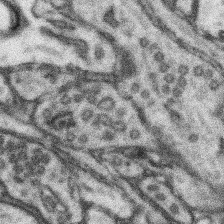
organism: Mouse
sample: Somatosensory cortex neuropil